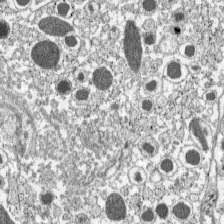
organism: C57BL Mouse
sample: Pancreatic islet